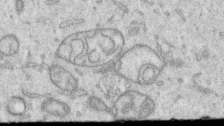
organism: Human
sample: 1205lu cells